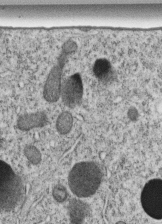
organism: C. elegans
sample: C. elegans embryo early stage